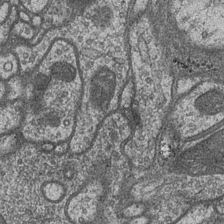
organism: Drosophila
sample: Optic medulla